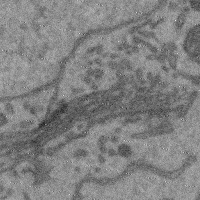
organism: Mouse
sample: Cerebral cortex